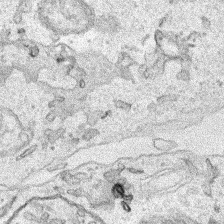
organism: Human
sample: Mitochondria in HCT116 cells